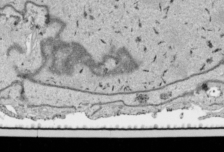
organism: Human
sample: Mitochondria in HCT116 cells